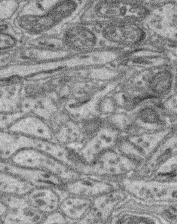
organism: Mouse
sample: Retina